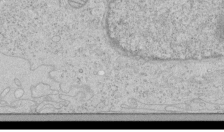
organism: Human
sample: Mitochondria in HCT116 cells